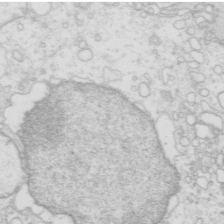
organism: Mouse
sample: Multiciliated cells